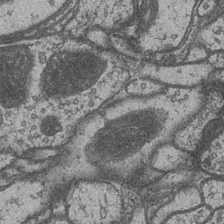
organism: Drosophila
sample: Optic medulla